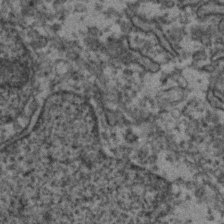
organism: Zebrafish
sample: Zebrafish embryo